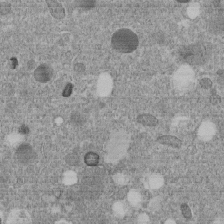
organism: C. elegans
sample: C. elegans embryo early stage